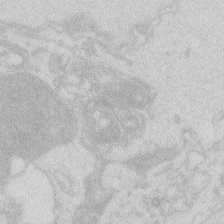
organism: Zebrafish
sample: Macrophage